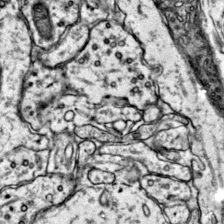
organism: Mouse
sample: Primary visual cortex